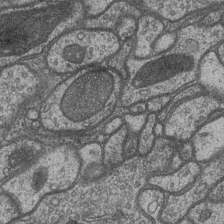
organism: Drosophila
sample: Optic medulla